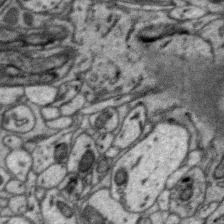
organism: Zebra finch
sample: Brain